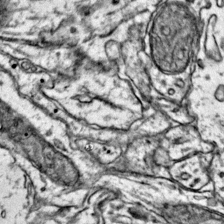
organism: Mouse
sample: Primary visual cortex